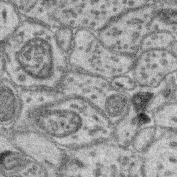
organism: Mouse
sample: Retina